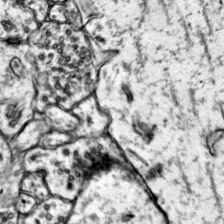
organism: Mouse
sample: Primary visual cortex